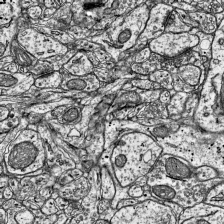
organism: Mouse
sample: Visual Cortex